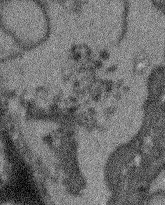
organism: Arabidopsis thaliana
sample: Root tip